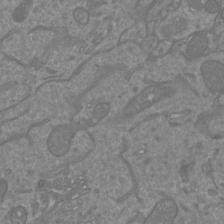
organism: Mouse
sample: Cortical neurons